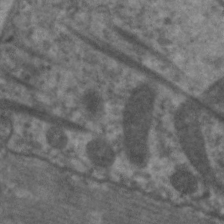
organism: C. elegans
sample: Pharynx